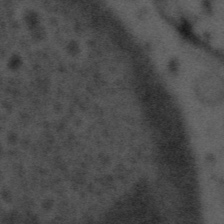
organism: Tuwongella immobilis